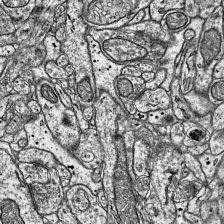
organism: Mouse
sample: Visual Cortex